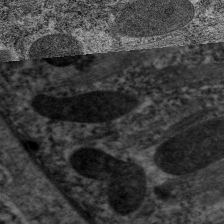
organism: C. elegans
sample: Pharynx